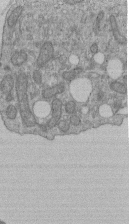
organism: Human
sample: Retinal organoid Rod and Cone cells